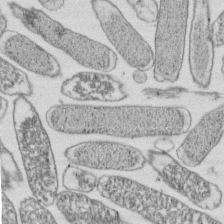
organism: E. coli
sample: Bacterial nucleoid